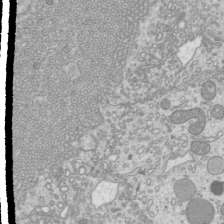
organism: Mouse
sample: Cilia; mouse epididymis